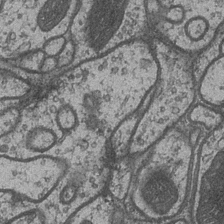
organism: Drosophila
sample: Optic medulla